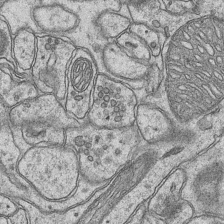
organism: Mouse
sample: CA1 Hippocampus